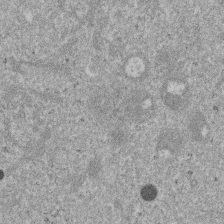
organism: Mouse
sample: Dividing mouse embryo 1 cell stage